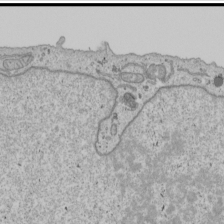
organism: Human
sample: Mitochondria in U2OS cells